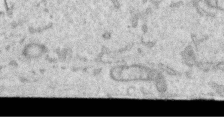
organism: Human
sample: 1205lu cells